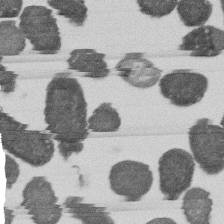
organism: E. coli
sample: Bacterial nucleoid